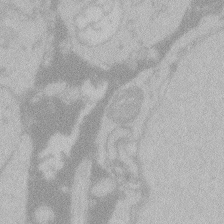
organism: Zebrafish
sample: Macrophage infected with Toxoplasma gondii